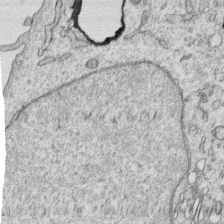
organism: Human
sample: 1205lu cells